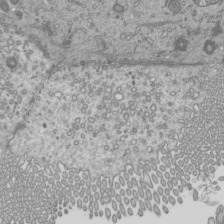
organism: Mouse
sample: Cilia; mouse epididymis